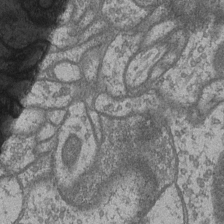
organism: Drosophila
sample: Optic medulla